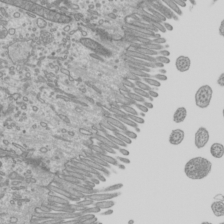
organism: Mouse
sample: Cilia; mouse epididymis